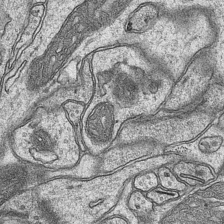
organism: Mouse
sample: CA1 Hippocampus